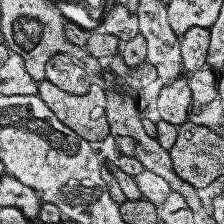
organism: Human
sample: Temporal Lobe